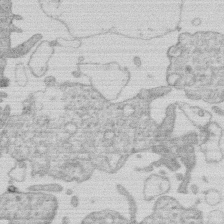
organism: Human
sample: Macrophage cells